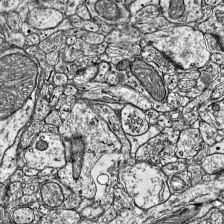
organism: Mouse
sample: Visual Cortex